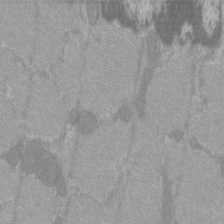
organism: C57BL Mouse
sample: Tibialis anterior muscle cell